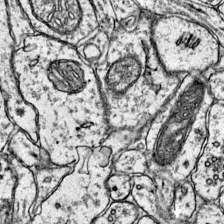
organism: Mouse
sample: Primary visual cortex